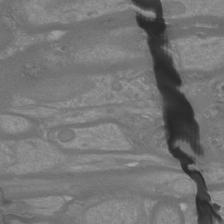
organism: Mouse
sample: Cortical neurons